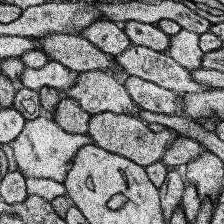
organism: Human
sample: Temporal Lobe